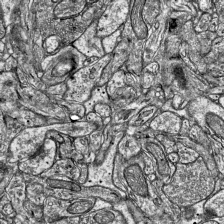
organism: Mouse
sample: Visual Cortex